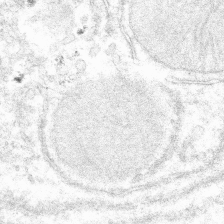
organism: Mouse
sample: Mouse hepatocytes